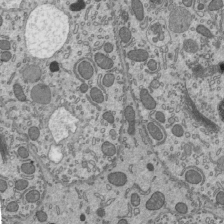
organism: Mouse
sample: Mouse epididymis efferent ductule cilia